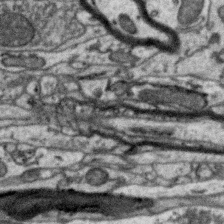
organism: Zebra finch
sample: Brain